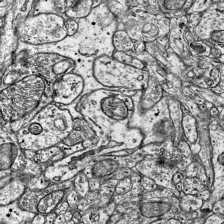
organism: Mouse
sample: Visual Cortex